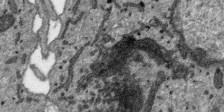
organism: Human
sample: Lung epithelial cells, uninfected (mock) control